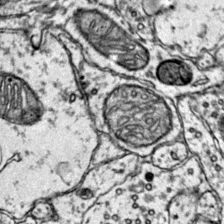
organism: Mouse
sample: Primary visual cortex